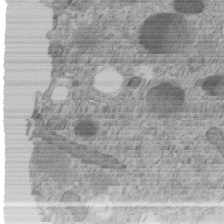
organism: C. elegans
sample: C. elegans embryo early stage